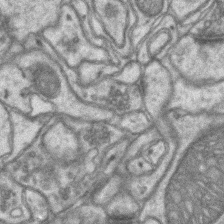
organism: Mouse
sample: CA1 Hippocampus